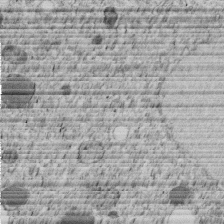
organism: C. elegans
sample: C. elegans embryo early stage